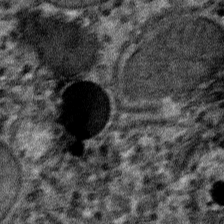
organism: Mouse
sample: Mouse hepatocytes